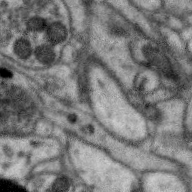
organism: Zebra finch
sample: Brain